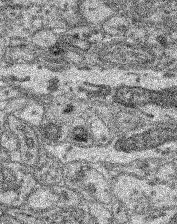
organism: Mouse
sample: Retina